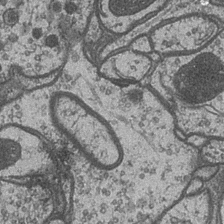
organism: Drosophila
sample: Optic medulla